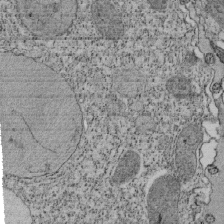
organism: Tetrahymena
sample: Cilia in tetrahymena